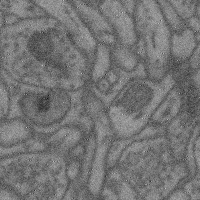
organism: Mouse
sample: Cerebral cortex